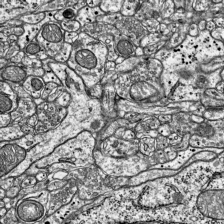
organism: Mouse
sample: Visual Cortex